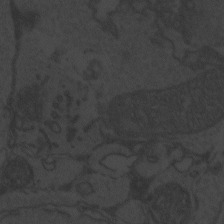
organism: Zebrafish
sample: Macrophage infected with Toxoplasma gondii